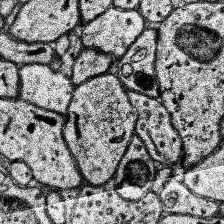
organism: Human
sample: Temporal Lobe